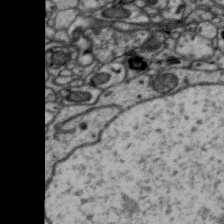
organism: Zebra finch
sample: Brain